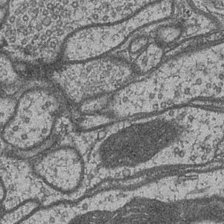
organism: Drosophila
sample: Optic medulla